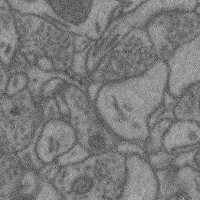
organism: Mouse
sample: Cerebral cortex